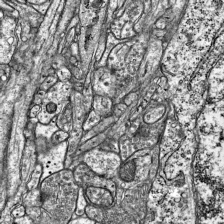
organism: Mouse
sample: Visual Cortex